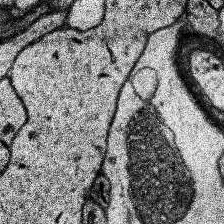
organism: Human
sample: Temporal Lobe